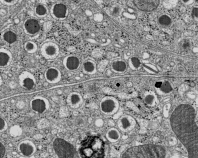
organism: C57BL Mouse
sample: Pancreatic islet